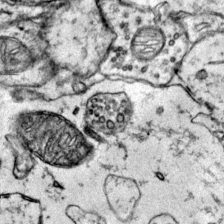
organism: Mouse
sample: Primary visual cortex